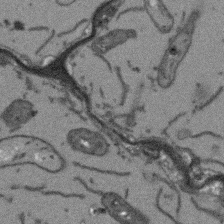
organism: Arabidopsis thaliana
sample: Root tip